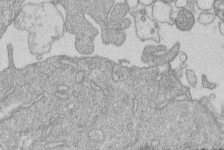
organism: Human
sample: Macrophage cells